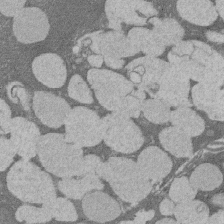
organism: Rat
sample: Salivary granule